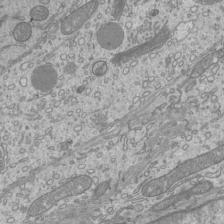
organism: Mouse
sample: Cilia; mouse epididymis